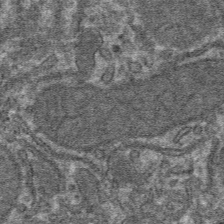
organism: Mouse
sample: Mouse hepatocytes